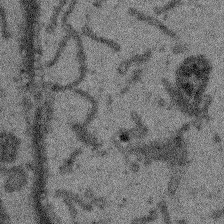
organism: Arabidopsis thaliana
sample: Root tip